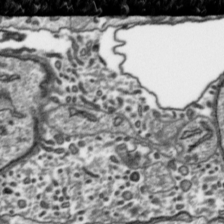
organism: Toxoplasma gondii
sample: Parasites in a vacuole inside a host cell